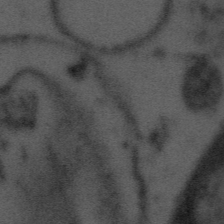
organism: Tuwongella immobilis